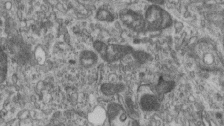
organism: Mouse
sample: Centriole in ependymal cells